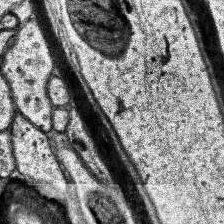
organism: Human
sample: Temporal Lobe